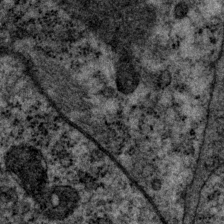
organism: P. pacificus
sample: Pharynx